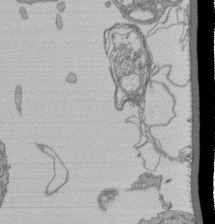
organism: Human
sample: Retinal organoid Rod and Cone cells